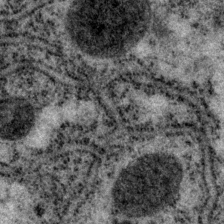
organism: P. pacificus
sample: Pharynx